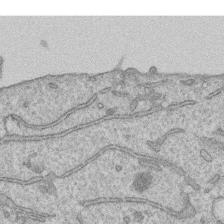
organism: Human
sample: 1205lu cells